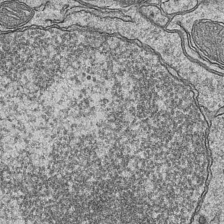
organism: Mouse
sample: CA1 Hippocampus